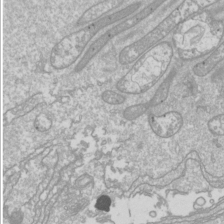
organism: Drosophila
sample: Cell division; meiosis; drosophila spermatocytes